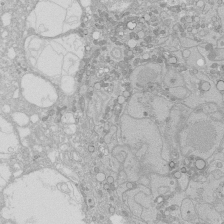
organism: Human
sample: Caco-2 cells